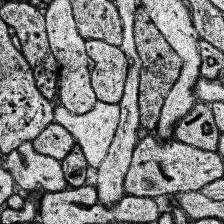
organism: Human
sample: Temporal Lobe